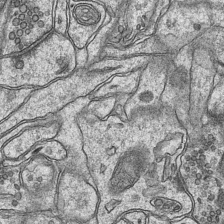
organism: Mouse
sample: CA1 Hippocampus